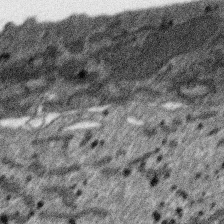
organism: Human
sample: Lung epithelial cells infected with SARS-CoV-2